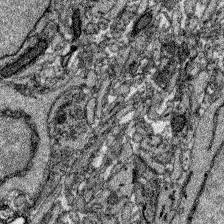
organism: Zebrafish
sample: Larval olfactory bulb